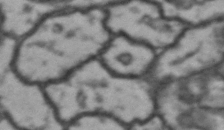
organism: Drosophila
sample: Brain